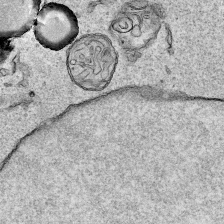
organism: Human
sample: Mitochondria in HCT116 cells